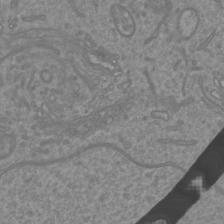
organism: Mouse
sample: Cortical neurons